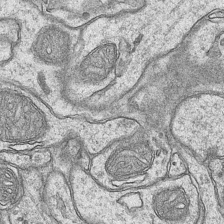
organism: Mouse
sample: CA1 Hippocampus